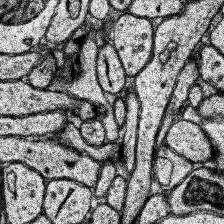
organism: Human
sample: Temporal Lobe